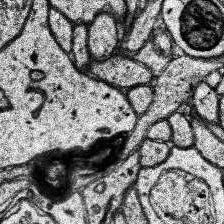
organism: Human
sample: Temporal Lobe